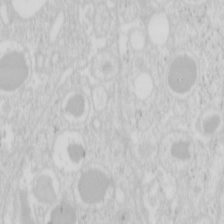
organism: Mouse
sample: Pancreas